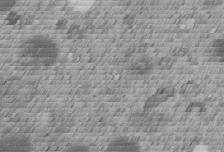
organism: C. elegans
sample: C. elegans embryo early stage